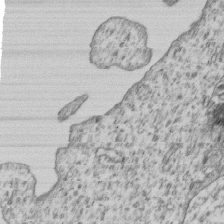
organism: Human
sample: MDA-MB-231 cells